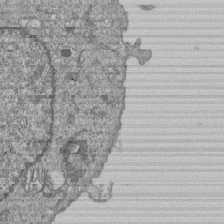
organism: Human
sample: MDA-MB-231 cells